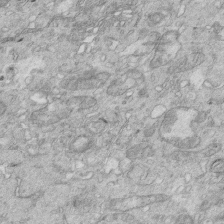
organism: Mouse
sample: Multiciliated cells